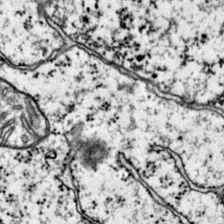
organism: Mouse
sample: Primary visual cortex